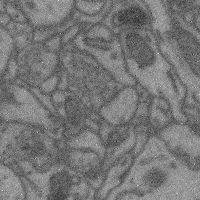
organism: Mouse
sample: Cerebral cortex